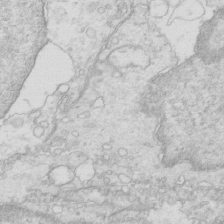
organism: Mouse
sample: Multiciliated cells